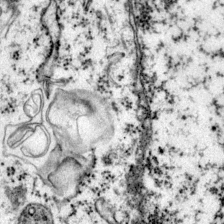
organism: Mouse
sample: Primary visual cortex